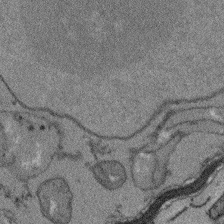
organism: Arabidopsis thaliana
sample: Root tip